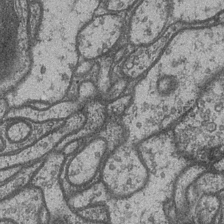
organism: Drosophila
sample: Optic medulla